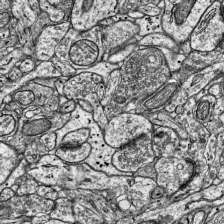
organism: Mouse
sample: Visual Cortex